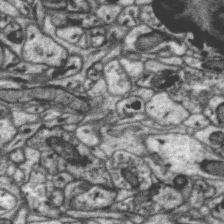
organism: Zebra finch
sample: Brain